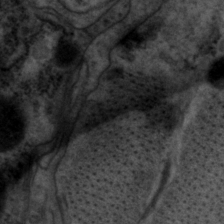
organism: P. pacificus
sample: Pharynx